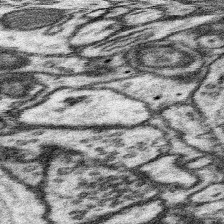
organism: Mouse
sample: Somatosensory cortex neuropil